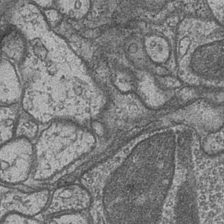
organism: Drosophila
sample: Optic medulla